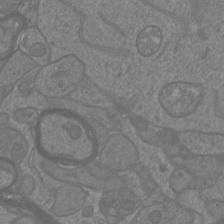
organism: Mouse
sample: Cortical neurons